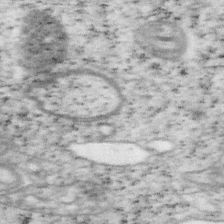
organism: Mouse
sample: OT-I killer T cells with ID8 ovarian cancer cells